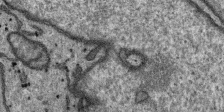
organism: Human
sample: Lung epithelial cells, uninfected (mock) control